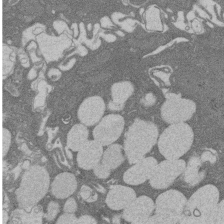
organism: Rat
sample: Salivary granule